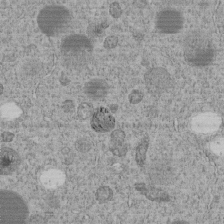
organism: C. elegans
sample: C. elegans embryo early stage